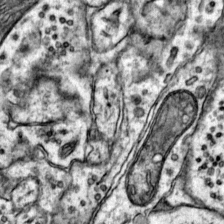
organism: Mouse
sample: Primary visual cortex